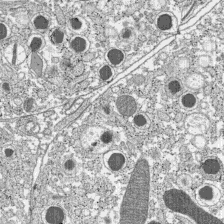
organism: C57BL Mouse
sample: Pancreatic islet